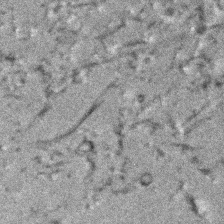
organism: Human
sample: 1205lu cells